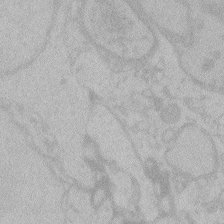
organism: Zebrafish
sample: Macrophage infected with Toxoplasma gondii